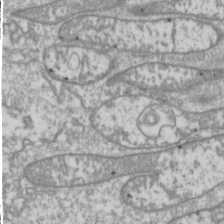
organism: Drosophila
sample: Cell division; meiosis; drosophila spermatocytes